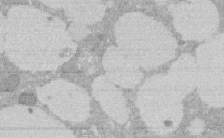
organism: Rat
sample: Salivary granule